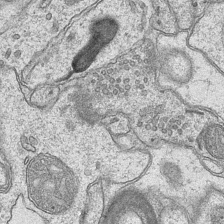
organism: Mouse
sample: CA1 Hippocampus